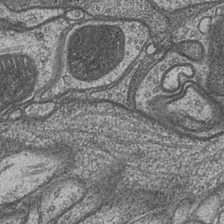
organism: Drosophila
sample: Optic medulla